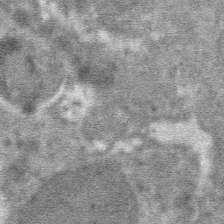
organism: Mouse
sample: Mouse hepatocytes